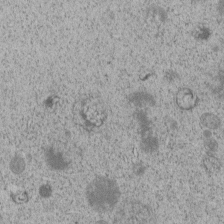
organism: C. elegans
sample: C. elegans embryo early stage